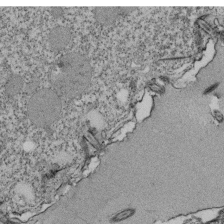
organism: Tetrahymena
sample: Cilia in tetrahymena